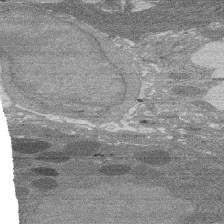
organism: Rat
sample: Salivary granule